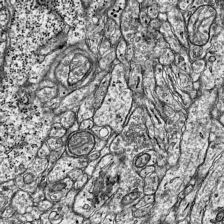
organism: Mouse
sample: Visual Cortex